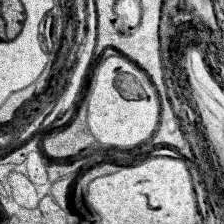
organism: Human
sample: Temporal Lobe